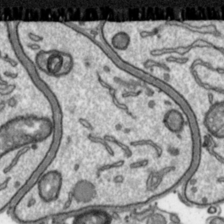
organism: Toxoplasma gondii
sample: Parasites in a vacuole inside a host cell